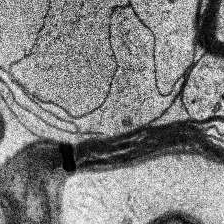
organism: Human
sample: Temporal Lobe